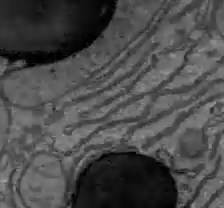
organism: C57BL Mouse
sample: Liver